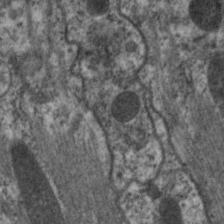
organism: C. elegans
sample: Pharynx